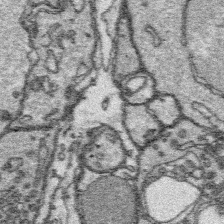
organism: Platynereis dumerilii